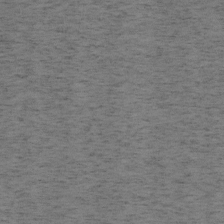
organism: Mouse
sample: OT-I killer T cells with ID8 ovarian cancer cells